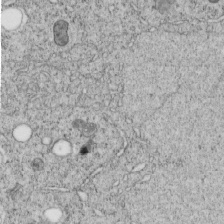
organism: C. elegans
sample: C. elegans embryo early stage